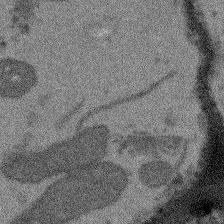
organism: Arabidopsis thaliana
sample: Root tip